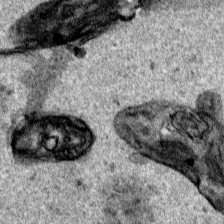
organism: Human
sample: Mitochondria in HCT116 cells